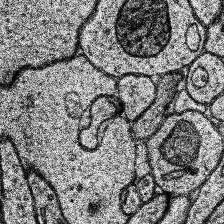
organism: Human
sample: Temporal Lobe